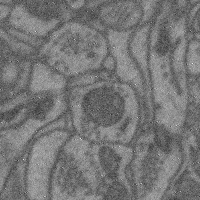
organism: Mouse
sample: Cerebral cortex